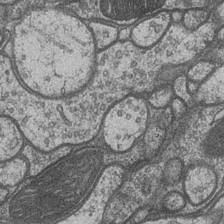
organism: Drosophila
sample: Optic medulla